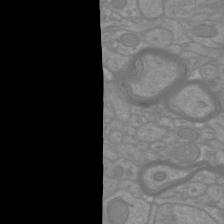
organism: Mouse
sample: Cortical neurons